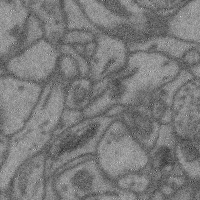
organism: Mouse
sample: Cerebral cortex